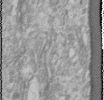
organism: Human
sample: Cilia; basal body in RPE cells